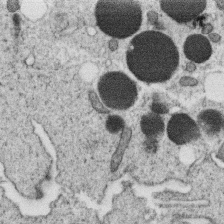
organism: C. elegans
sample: C. elegans oocyte; sperm cells